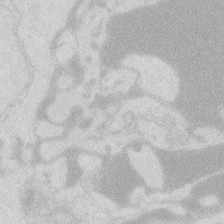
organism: Zebrafish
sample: Macrophage